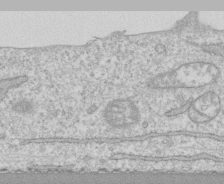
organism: Human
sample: CRL-1474